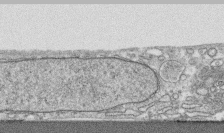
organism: Human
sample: CRL-1474